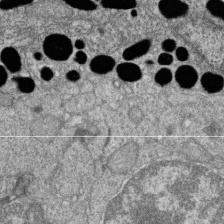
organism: Zebrafish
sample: Cilia; retinal pigment epithelium